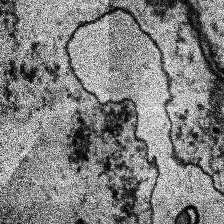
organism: Human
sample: Temporal Lobe